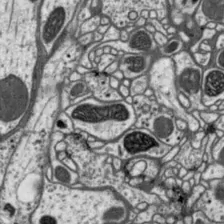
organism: Drosophila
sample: Protocerebral bridge